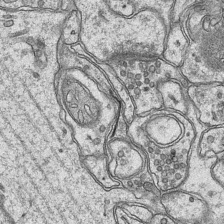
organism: Mouse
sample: CA1 Hippocampus